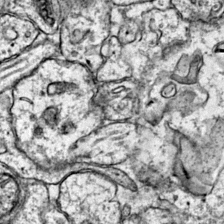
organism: Mouse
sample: Primary visual cortex